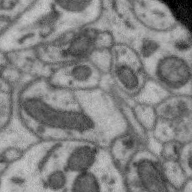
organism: Zebra finch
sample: Brain